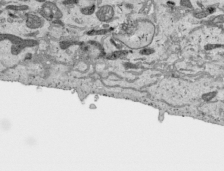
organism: Human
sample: Mitochondria in HCT116 cells